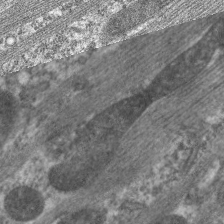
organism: C. elegans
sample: Pharynx